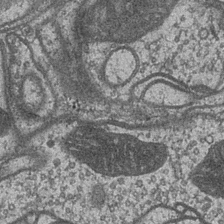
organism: Drosophila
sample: Optic medulla